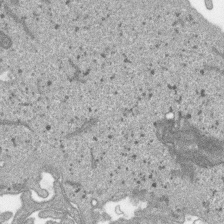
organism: Human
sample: Lung epithelial cells infected with SARS-CoV-2